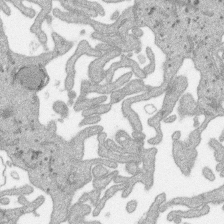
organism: Human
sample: Lung epithelial cells infected with SARS-CoV-2